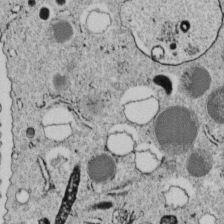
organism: C. elegans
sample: C. elegans embryo early stage